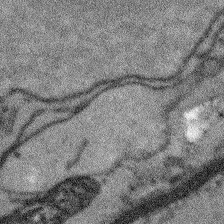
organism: Arabidopsis thaliana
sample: Root tip